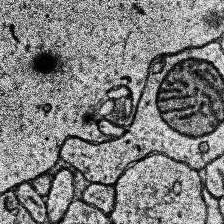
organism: Human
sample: Temporal Lobe